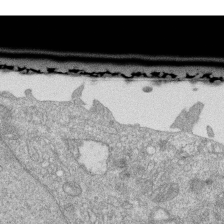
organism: Human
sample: HeLa cell HIV synapse